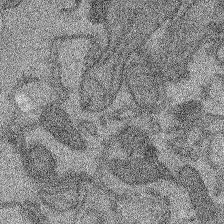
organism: Human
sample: HeLa cells